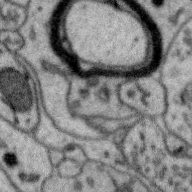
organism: Zebra finch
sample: Brain